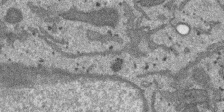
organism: Human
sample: Lung epithelial cells infected with SARS-CoV-2